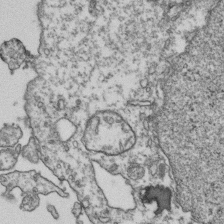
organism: Human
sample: Activated Jurkat CD4+ T cells